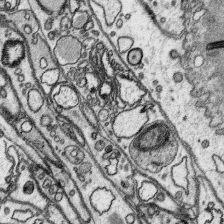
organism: Platynereis dumerilii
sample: Parapodia